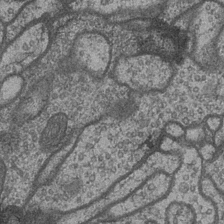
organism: Drosophila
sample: Optic medulla